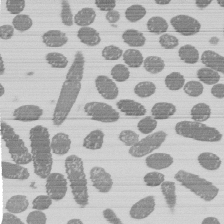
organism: E. coli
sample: Bacterial nucleoid